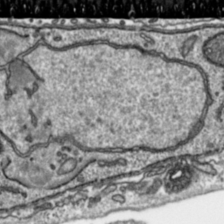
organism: Toxoplasma gondii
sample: Parasites in a vacuole inside a host cell